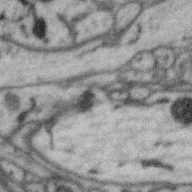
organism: Zebra finch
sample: Brain